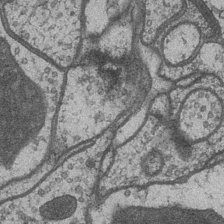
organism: Drosophila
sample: Optic medulla